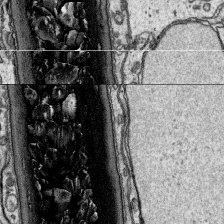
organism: Platynereis dumerilii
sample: Parapodia